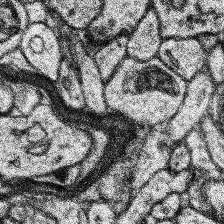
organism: Human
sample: Temporal Lobe